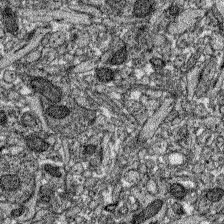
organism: Zebrafish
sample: Larval olfactory bulb